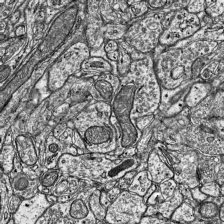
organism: Mouse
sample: Visual Cortex